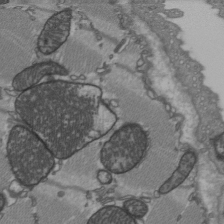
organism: C57BL Mouse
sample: Heart